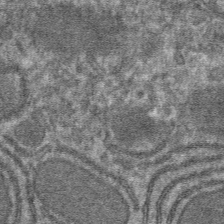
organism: Mouse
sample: Mouse hepatocytes